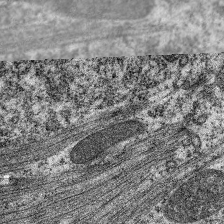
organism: C. elegans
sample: Pharynx